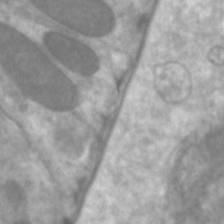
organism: C. elegans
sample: Pharynx